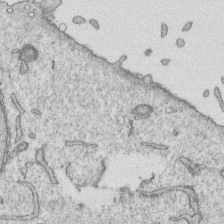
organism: Human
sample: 1205lu cells